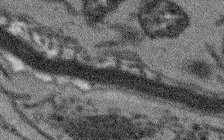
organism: Arabidopsis thaliana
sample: Root tip